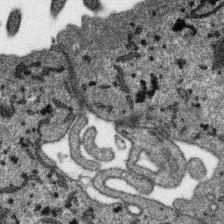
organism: Human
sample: Lung epithelial cells infected with SARS-CoV-2